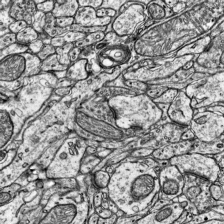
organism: Mouse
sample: Visual Cortex